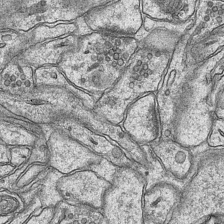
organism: Mouse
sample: CA1 Hippocampus